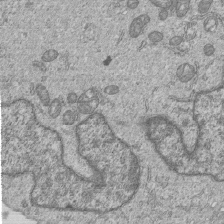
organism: Human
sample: MDA-MB-231 cells